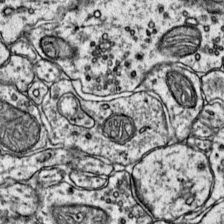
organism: Mouse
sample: Primary visual cortex